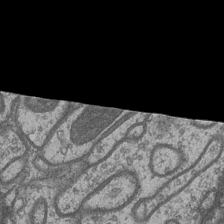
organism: Drosophila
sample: Optic medulla